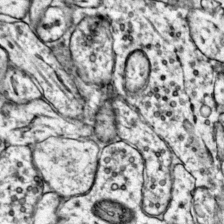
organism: Mouse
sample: Primary visual cortex